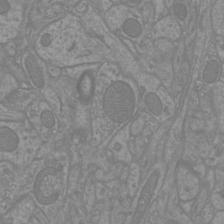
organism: Mouse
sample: Cortical neurons